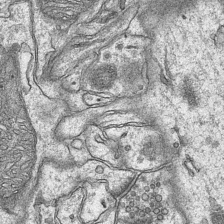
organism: Mouse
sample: CA1 Hippocampus